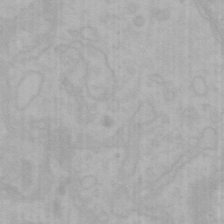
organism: Mouse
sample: Choroid plexus